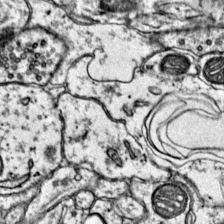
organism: Mouse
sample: Primary visual cortex